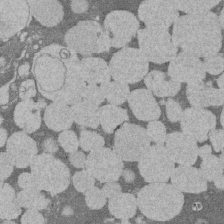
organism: Rat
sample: Salivary granule